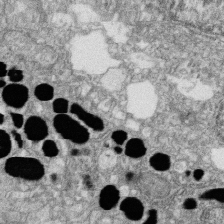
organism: Zebrafish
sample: Cilia; retinal pigment epithelium